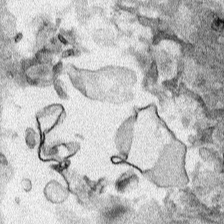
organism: Human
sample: Mitochondria in HCT116 cells